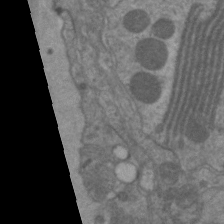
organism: C. elegans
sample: Pharynx